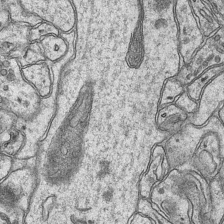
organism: Mouse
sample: CA1 Hippocampus